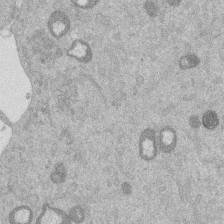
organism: Mouse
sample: Dividing mouse embryo 1 cell stage